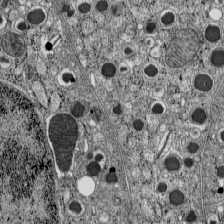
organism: C57BL Mouse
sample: Pancreatic islet